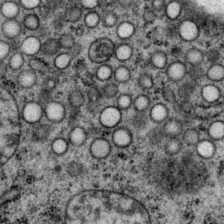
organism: P. pacificus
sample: Pharynx